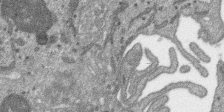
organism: Human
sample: Lung epithelial cells infected with SARS-CoV-2